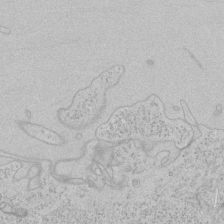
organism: Human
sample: Mitochondria in HCT116 cells